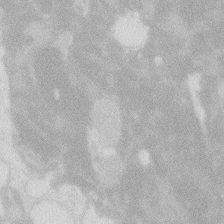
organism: Zebrafish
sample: Macrophage